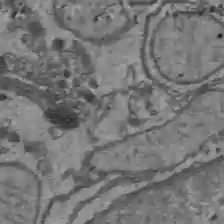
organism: C57BL Mouse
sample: Liver